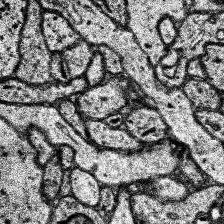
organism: Human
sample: Temporal Lobe